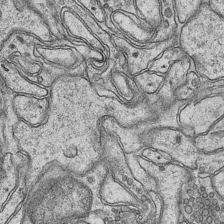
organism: Mouse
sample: CA1 Hippocampus